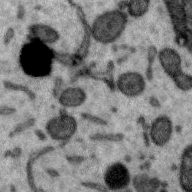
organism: Zebra finch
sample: Brain